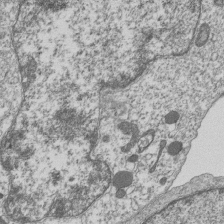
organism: Human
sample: MDA-MB-231 cells